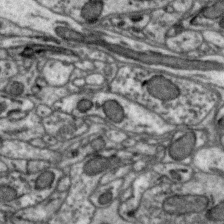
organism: Zebra finch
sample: Brain